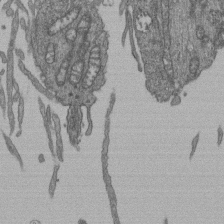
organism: Human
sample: Retinal organoid Rod and Cone cells